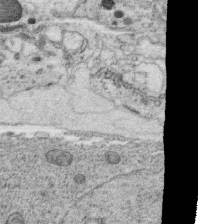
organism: C. elegans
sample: C. elegans oocyte; sperm cells